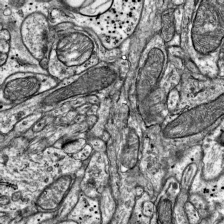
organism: Mouse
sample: Visual Cortex